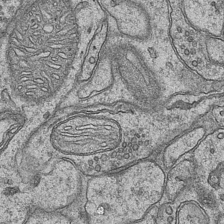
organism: Mouse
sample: CA1 Hippocampus